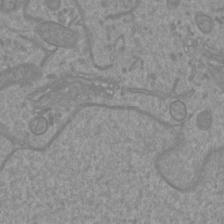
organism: Mouse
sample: Cortical neurons